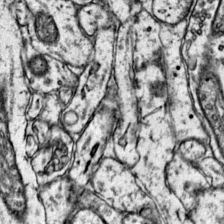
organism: Mouse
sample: Primary visual cortex